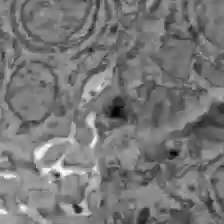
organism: C57BL Mouse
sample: Liver